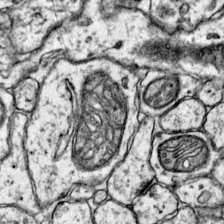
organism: Mouse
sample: Primary visual cortex